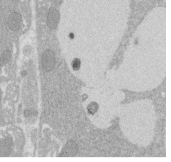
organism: Rat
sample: Salivary granule